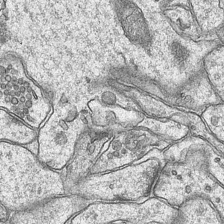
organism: Mouse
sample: CA1 Hippocampus